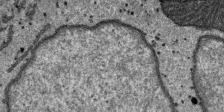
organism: Human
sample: Lung epithelial cells, uninfected (mock) control